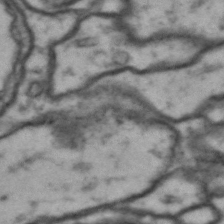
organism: Drosophila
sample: Brain